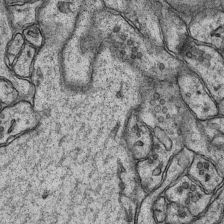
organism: Mouse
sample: CA1 Hippocampus